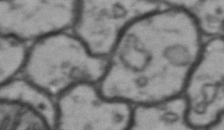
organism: Drosophila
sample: Brain